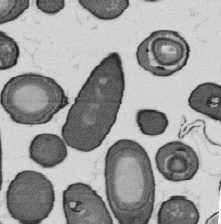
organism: B. subtilis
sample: Bacterial spore